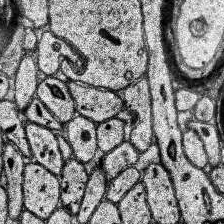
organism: Human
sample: Temporal Lobe